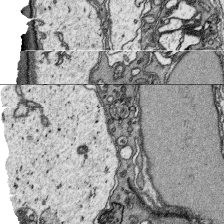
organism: Platynereis dumerilii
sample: Parapodia